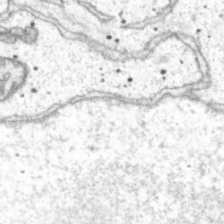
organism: Human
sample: HeLa cells